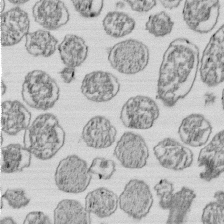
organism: E. coli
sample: Bacterial nucleoid